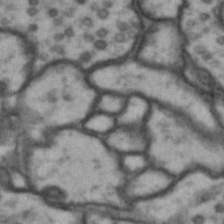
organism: Drosophila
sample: Brain